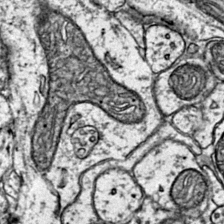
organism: Mouse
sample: Primary visual cortex